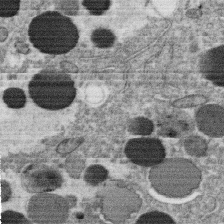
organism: C. elegans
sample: C. elegans oocyte; sperm cells